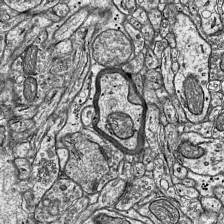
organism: Mouse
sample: Visual Cortex